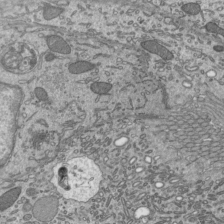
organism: Mouse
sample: Mouse epididymis efferent ductule cilia